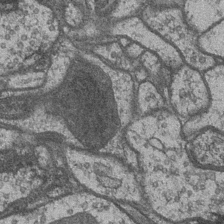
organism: Drosophila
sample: Optic medulla